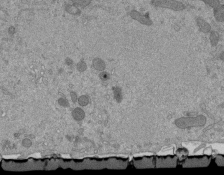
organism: Mouse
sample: ED-1 cell nuclei; centrioles